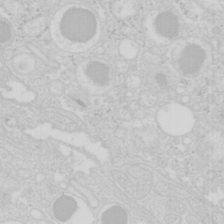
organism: Mouse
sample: Pancreas